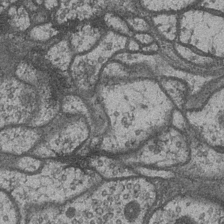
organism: Drosophila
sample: Optic medulla